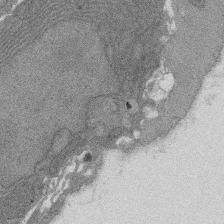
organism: Rat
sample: Salivary granule